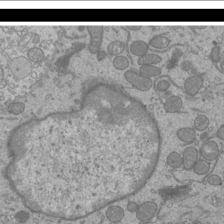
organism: Mouse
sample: Cilia; mouse epididymis